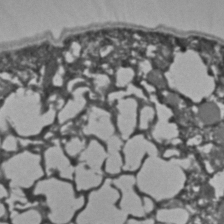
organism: C. elegans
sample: C. elegans embryo